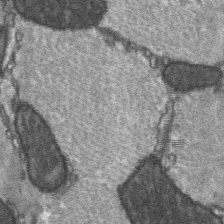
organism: C57BL Mouse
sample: Soleus